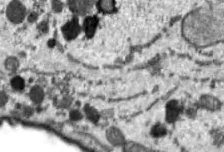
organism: Human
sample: HeLa cells